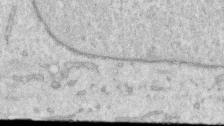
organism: Human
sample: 1205lu cells